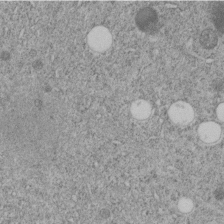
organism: C. elegans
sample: C. elegans embryo early stage